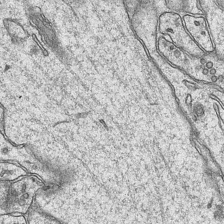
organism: Mouse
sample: CA1 Hippocampus